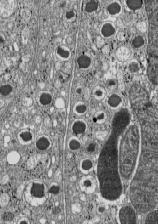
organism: C57BL Mouse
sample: Pancreatic islet